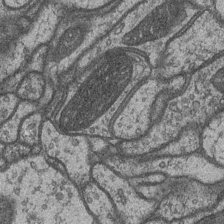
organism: Drosophila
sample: Optic medulla